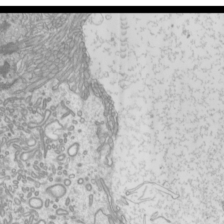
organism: Mouse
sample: Cilia; mouse epididymis